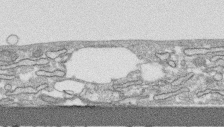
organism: Human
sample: CRL-1474